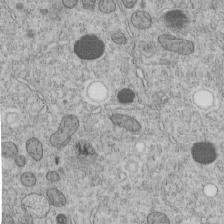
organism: C. elegans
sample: C. elegans embryo early stage